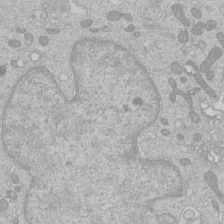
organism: Human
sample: Macrophage cells